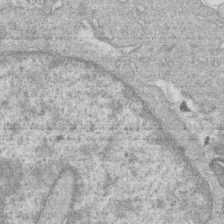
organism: Human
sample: Macrophage cells